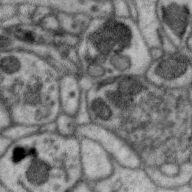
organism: Zebra finch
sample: Brain